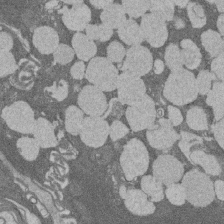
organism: Rat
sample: Salivary granule